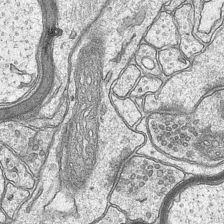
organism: Mouse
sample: CA1 Hippocampus